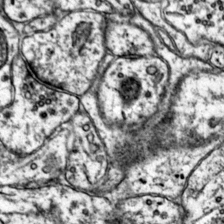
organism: Mouse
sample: Primary visual cortex